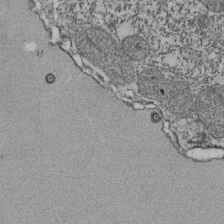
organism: Tetrahymena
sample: Cilia in tetrahymena